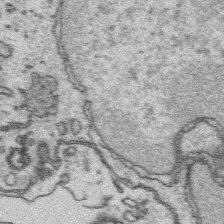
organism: Platynereis dumerilii